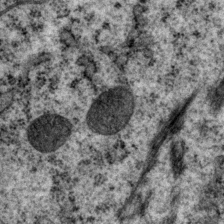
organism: P. pacificus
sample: Pharynx